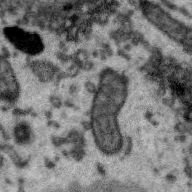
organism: Zebra finch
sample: Brain